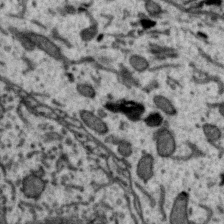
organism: Zebra finch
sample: Brain